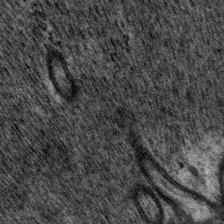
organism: P. pacificus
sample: Pharynx